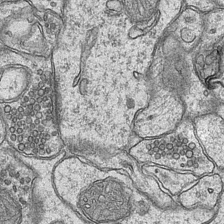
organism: Mouse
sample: CA1 Hippocampus